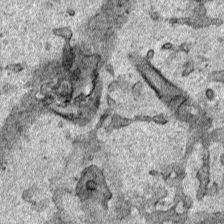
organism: Human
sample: Mitochondria in HCT116 cells